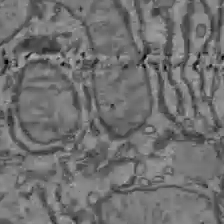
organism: C57BL Mouse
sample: Liver